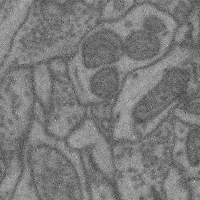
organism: Mouse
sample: Cerebral cortex